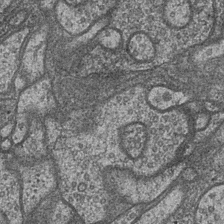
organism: Drosophila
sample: Optic medulla